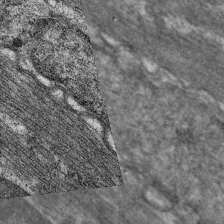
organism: C. elegans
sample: Pharynx